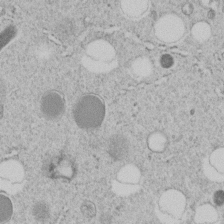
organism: C. elegans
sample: C. elegans embryo early stage